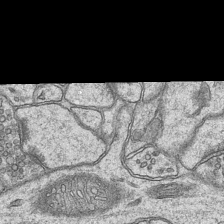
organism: Mouse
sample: CA1 Hippocampus